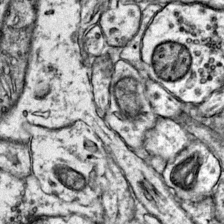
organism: Mouse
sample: Primary visual cortex